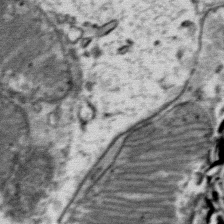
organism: Mouse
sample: Mouse Salivary gland